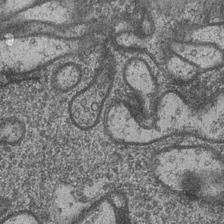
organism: Drosophila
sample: Optic medulla